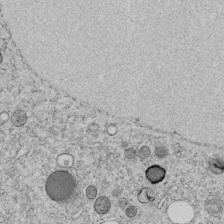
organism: C. elegans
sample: C. elegans embryo early stage